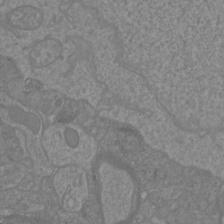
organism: Mouse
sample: Cortical neurons